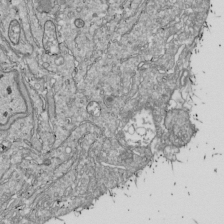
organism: Drosophila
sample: Cell division; meiosis; drosophila spermatocytes